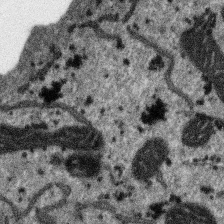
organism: Human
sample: Lung epithelial cells infected with SARS-CoV-2